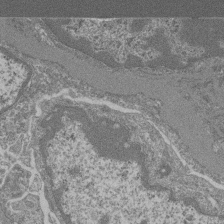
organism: Mouse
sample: Glomerulus